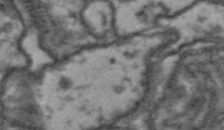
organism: Drosophila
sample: Brain